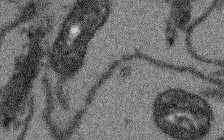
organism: Arabidopsis thaliana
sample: Root tip